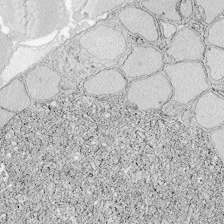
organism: Zebrafish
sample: Whole-Brain